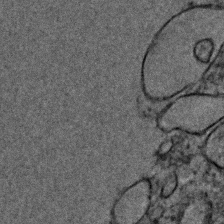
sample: Trachea